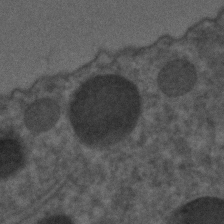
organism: C. elegans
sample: C. elegans embryo